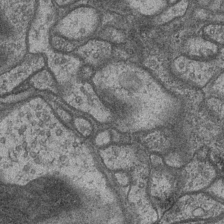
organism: Drosophila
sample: Optic medulla